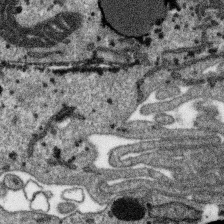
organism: Human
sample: Lung epithelial cells infected with SARS-CoV-2